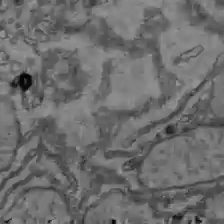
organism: C57BL Mouse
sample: Liver